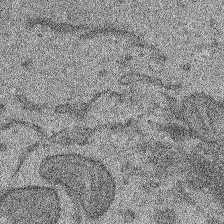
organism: Human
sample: HeLa cells